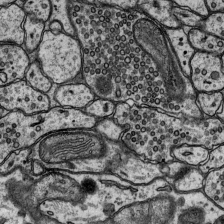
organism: Rat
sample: Hippocampus